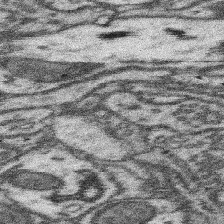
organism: Mouse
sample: Somatosensory cortex neuropil